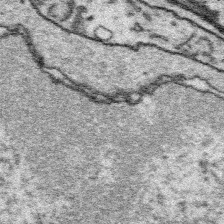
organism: Platynereis dumerilii